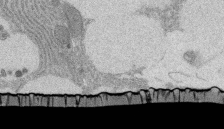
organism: Rat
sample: Salivary granule